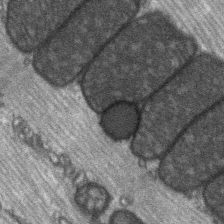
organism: C57BL Mouse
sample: Soleus